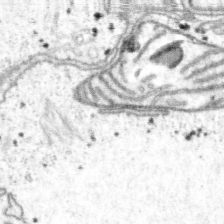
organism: Human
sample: HeLa cells